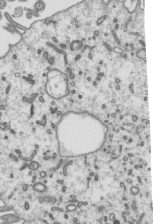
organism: Mouse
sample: Mouse epididymis efferent ductule cilia